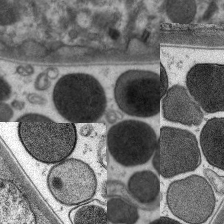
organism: C. elegans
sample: Pharynx